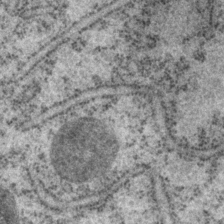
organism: P. pacificus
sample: Pharynx